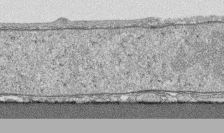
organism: Human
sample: CRL-1474